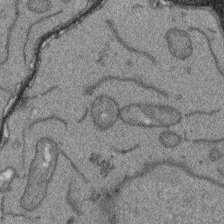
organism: Arabidopsis thaliana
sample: Root tip